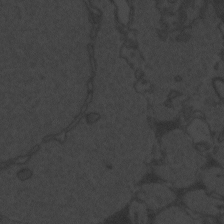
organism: Zebrafish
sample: Macrophage infected with Toxoplasma gondii